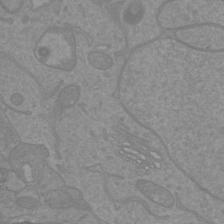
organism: Mouse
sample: Cortical neurons